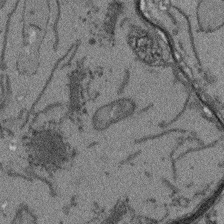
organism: Arabidopsis thaliana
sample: Root tip